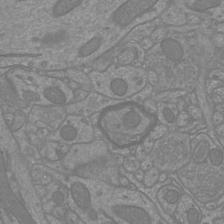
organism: Mouse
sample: Cortical neurons